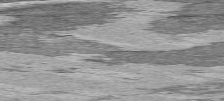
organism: C57BL Mouse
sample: Heart